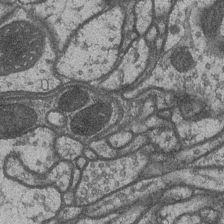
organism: Drosophila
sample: Optic medulla